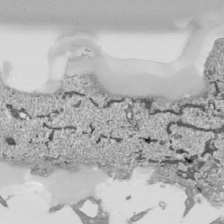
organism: Human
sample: Mitochondria in HCT116 cells